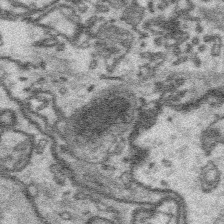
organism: Platynereis dumerilii